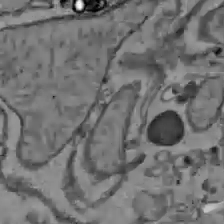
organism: C57BL Mouse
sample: Liver